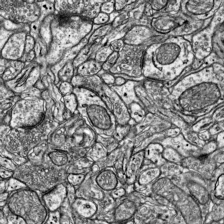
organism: Mouse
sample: Visual Cortex